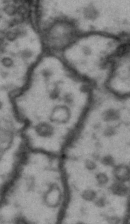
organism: Drosophila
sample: Brain